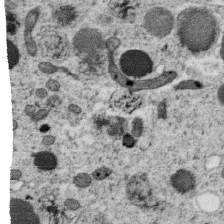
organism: C. elegans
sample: C. elegans oocyte; sperm cells